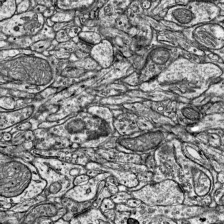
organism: Mouse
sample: Visual Cortex